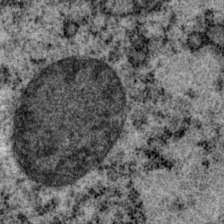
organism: P. pacificus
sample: Pharynx